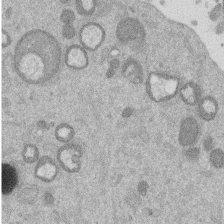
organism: Mouse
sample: Dividing mouse embryo 1 cell stage